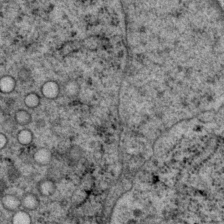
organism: P. pacificus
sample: Pharynx